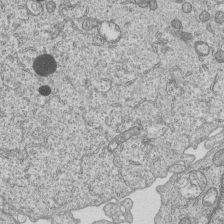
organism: Human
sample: MDA-MB-231 cells